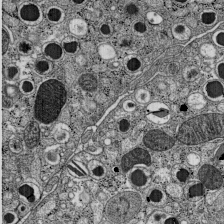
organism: C57BL Mouse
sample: Pancreatic islet